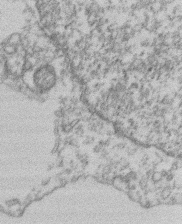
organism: Mouse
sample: T cell stromal cell synapse